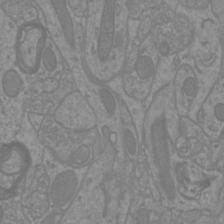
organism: Mouse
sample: Cortical neurons